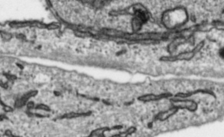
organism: Toxoplasma gondii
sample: Parasites in a vacuole inside a host cell